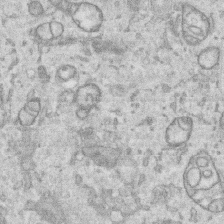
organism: Human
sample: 1205lu cells